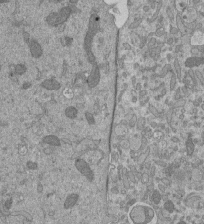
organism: Mouse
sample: ED-1 cell nuclei; centrioles